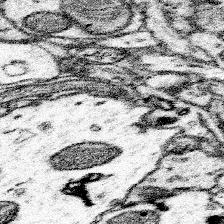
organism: Mouse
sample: Somatosensory cortex neuropil